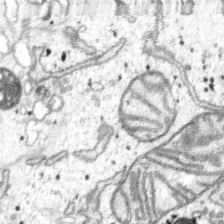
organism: Human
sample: HeLa cells